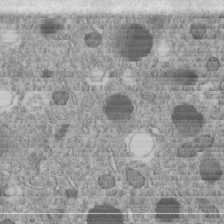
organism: C. elegans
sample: C. elegans embryo early stage